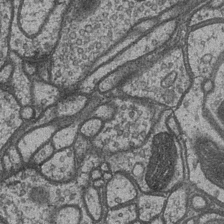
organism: Drosophila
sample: Optic medulla